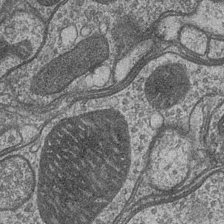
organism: Drosophila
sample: Optic medulla